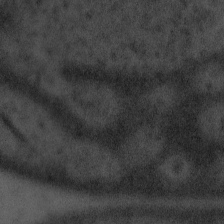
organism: Tuwongella immobilis